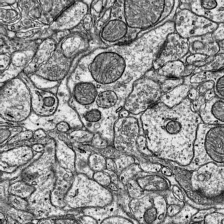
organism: Mouse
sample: Visual Cortex